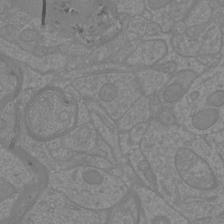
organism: Mouse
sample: Cortical neurons